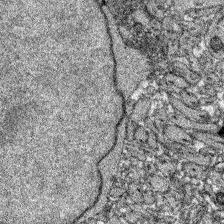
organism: Zebrafish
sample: Larval olfactory bulb